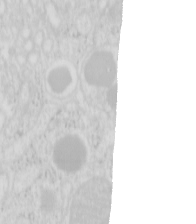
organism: Mouse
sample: Pancreas